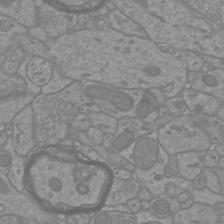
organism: Mouse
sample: Cortical neurons